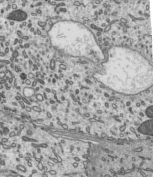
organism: Mouse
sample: Mouse epididymis efferent ductule cilia